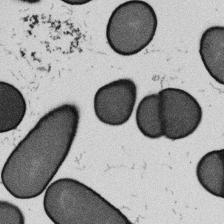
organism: B. subtilis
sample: Bacterial spore